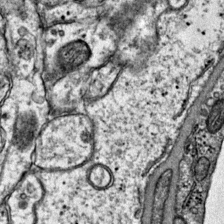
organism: Mouse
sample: Primary visual cortex